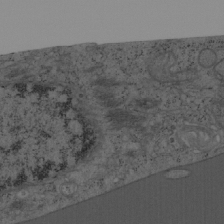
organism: Human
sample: HeLa cells